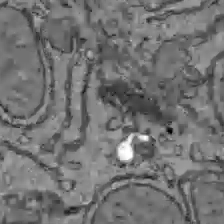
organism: C57BL Mouse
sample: Liver